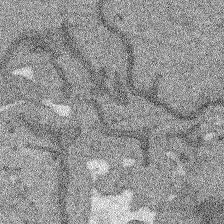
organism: Human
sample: HeLa cells